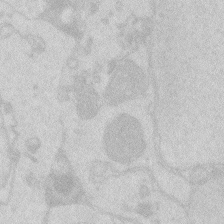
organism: Zebrafish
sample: Macrophage